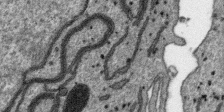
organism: Human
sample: Lung epithelial cells, uninfected (mock) control